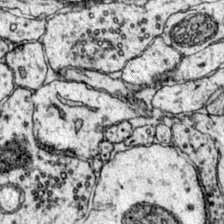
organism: Mouse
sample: Primary visual cortex